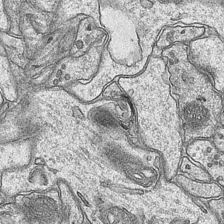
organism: Mouse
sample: CA1 Hippocampus